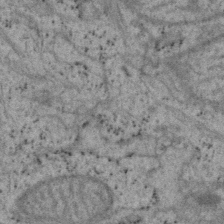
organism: Human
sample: HeLa cells